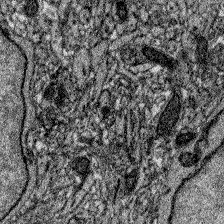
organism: Zebrafish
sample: Larval olfactory bulb